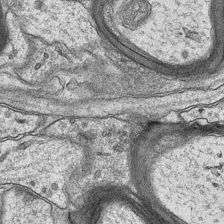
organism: Mouse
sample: CA1 Hippocampus